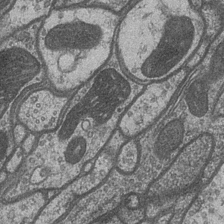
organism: Drosophila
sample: Optic medulla